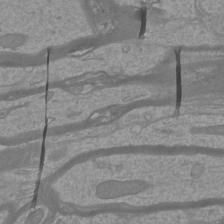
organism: Mouse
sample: Cortical neurons